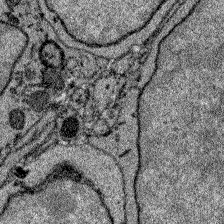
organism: Zebrafish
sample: Larval olfactory bulb